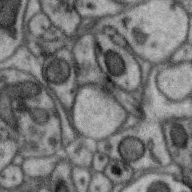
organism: Zebra finch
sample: Brain